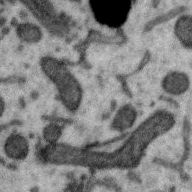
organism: Zebra finch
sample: Brain